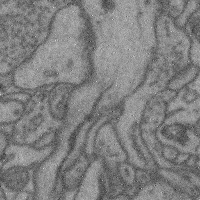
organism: Mouse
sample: Cerebral cortex